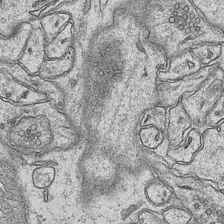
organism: Mouse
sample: CA1 Hippocampus